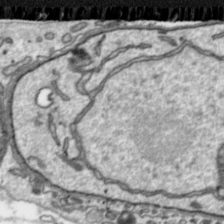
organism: Toxoplasma gondii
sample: Parasites in a vacuole inside a host cell